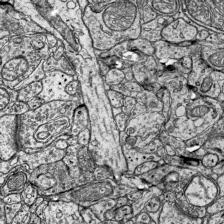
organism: Mouse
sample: Visual Cortex